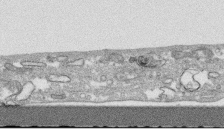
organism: Human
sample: CRL-1474